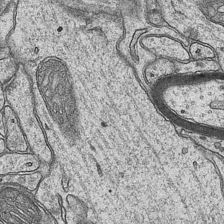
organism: Mouse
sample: CA1 Hippocampus